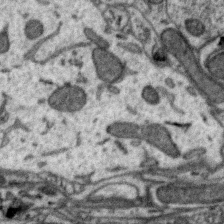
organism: Zebra finch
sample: Brain